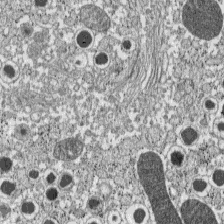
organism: C57BL Mouse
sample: Pancreatic islet